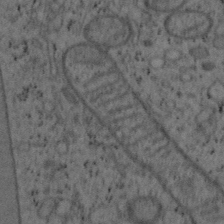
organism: Human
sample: HeLa cells